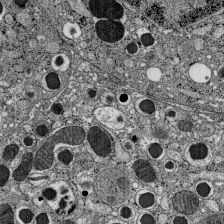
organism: C57BL Mouse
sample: Pancreatic islet